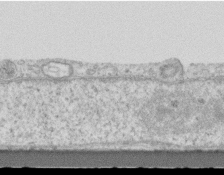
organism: Mouse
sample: Centriole in ependymal cells